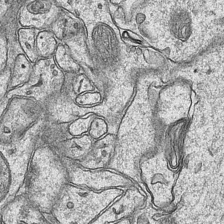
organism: Mouse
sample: CA1 Hippocampus